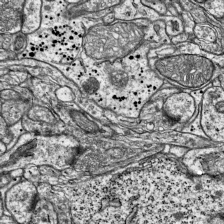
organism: Mouse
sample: Visual Cortex